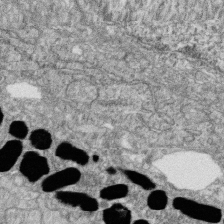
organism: Zebrafish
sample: Cilia; retinal pigment epithelium